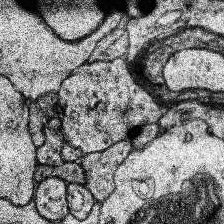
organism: Human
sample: Temporal Lobe